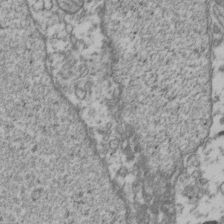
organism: Human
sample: Activated Jurkat CD4+ T cells